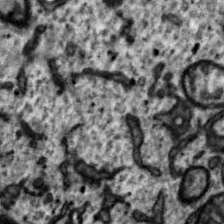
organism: Human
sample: HeLa cells